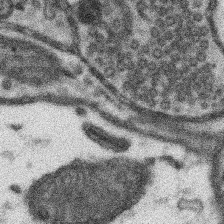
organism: Mouse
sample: Somatosensory cortex neuropil